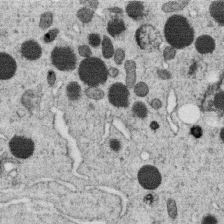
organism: C. elegans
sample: C. elegans oocyte; sperm cells